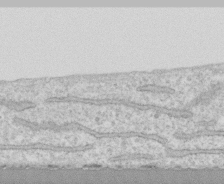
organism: Human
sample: CRL-1474